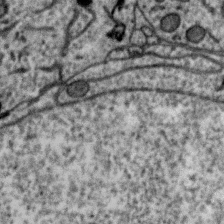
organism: Zebra finch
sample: Brain